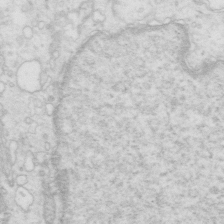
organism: Mouse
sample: Multiciliated cells